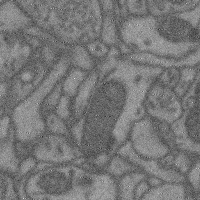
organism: Mouse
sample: Cerebral cortex